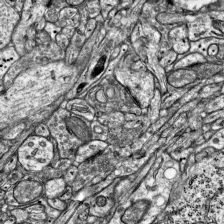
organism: Mouse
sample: Visual Cortex